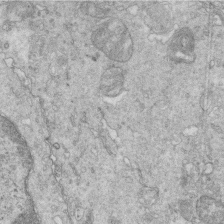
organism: Mouse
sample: Multiciliated cells